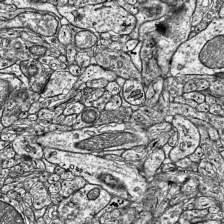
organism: Mouse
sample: Visual Cortex